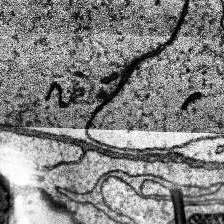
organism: Human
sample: Temporal Lobe